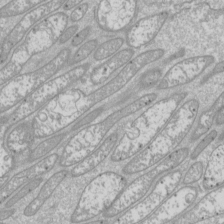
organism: Drosophila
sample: Cell division; meiosis; drosophila spermatocytes